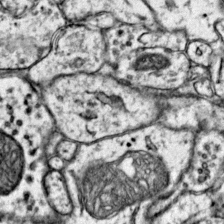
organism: Mouse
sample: Primary visual cortex